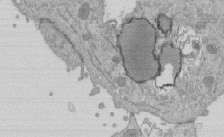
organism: Mouse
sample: ED-1 cell nuclei; centrioles